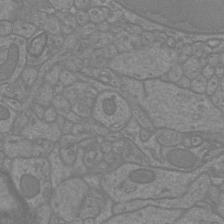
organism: Mouse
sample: Cortical neurons